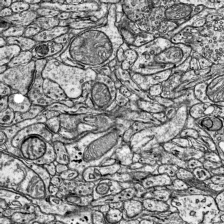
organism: Mouse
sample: Visual Cortex